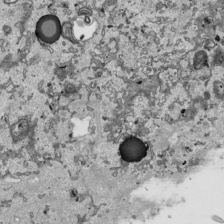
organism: Human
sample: Mitochondria in HCT116 cells